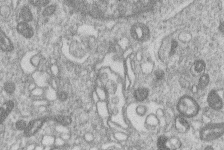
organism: Human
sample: Macrophage cells